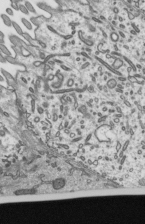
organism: Mouse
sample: Mouse epididymis efferent ductule cilia